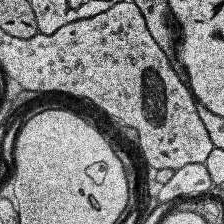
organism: Human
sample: Temporal Lobe